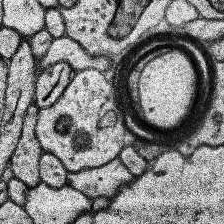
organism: Human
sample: Temporal Lobe